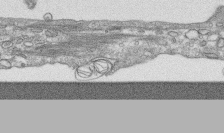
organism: Human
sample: CRL-1474